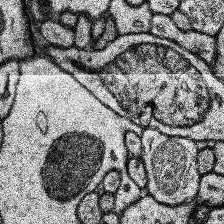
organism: Human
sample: Temporal Lobe